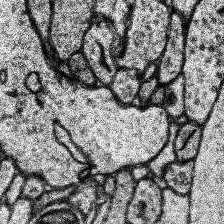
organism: Human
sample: Temporal Lobe